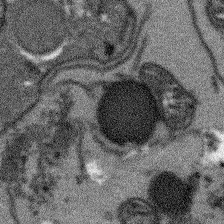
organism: Arabidopsis thaliana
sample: Root tip